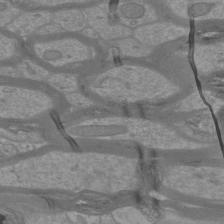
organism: Mouse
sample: Cortical neurons